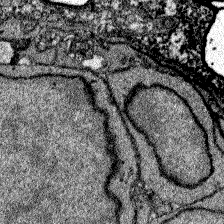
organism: Zebrafish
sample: Larval olfactory bulb